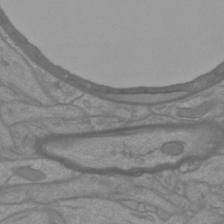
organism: Mouse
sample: Cortical neurons